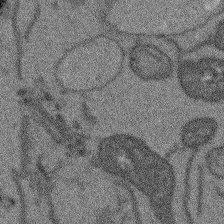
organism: Arabidopsis thaliana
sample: Root tip